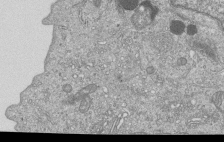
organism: Human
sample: MDA-MB-231 cells